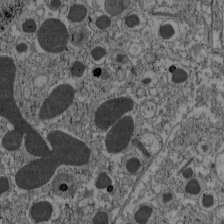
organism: C57BL Mouse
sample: Pancreatic islet